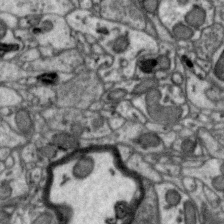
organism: Zebra finch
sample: Brain